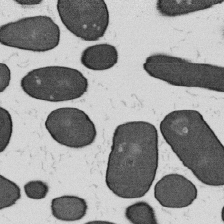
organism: B. subtilis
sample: Bacterial spore